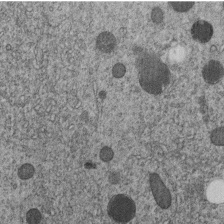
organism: C. elegans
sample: C. elegans embryo early stage